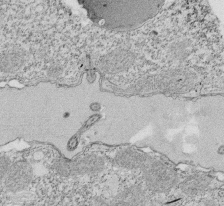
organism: Tetrahymena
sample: Cilia in tetrahymena